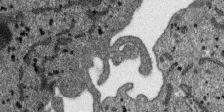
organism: Human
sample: Lung epithelial cells infected with SARS-CoV-2